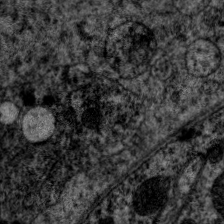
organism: C. elegans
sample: Pharynx